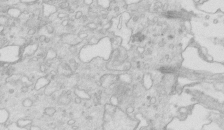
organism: Mouse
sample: Multiciliated cells